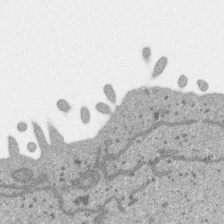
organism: Human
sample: Lung epithelial cells infected with SARS-CoV-2